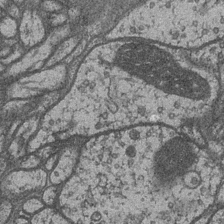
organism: Drosophila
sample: Optic medulla